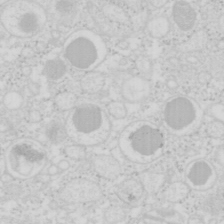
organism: Mouse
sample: Pancreas